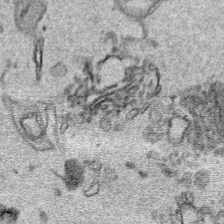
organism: Human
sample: Mitochondria in HCT116 cells